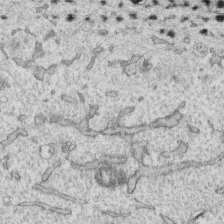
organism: Human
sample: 1205lu cells